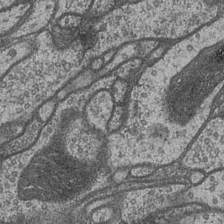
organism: Drosophila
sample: Optic medulla